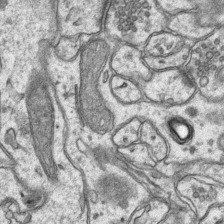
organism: Mouse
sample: CA1 Hippocampus